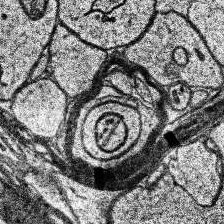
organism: Human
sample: Temporal Lobe